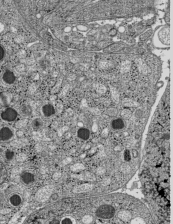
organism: C57BL Mouse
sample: Pancreatic islet